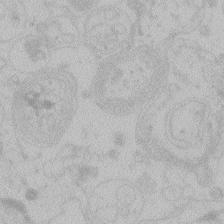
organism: Zebrafish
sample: Macrophage infected with Toxoplasma gondii